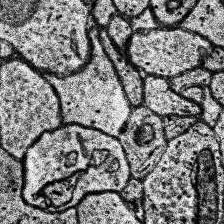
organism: Human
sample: Temporal Lobe